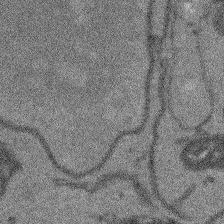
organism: Arabidopsis thaliana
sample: Root tip